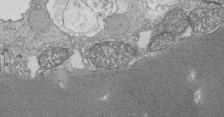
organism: Tetrahymena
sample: Cilia in tetrahymena